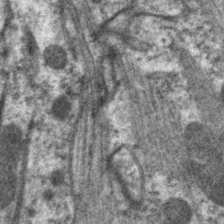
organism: C. elegans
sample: Pharynx